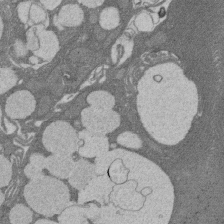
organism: Rat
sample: Salivary granule